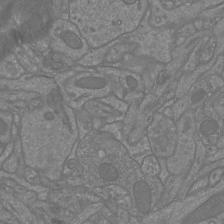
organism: Mouse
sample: Cortical neurons